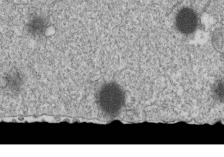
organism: Human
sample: HeLa cell HIV synapse